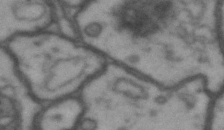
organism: Drosophila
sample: Brain